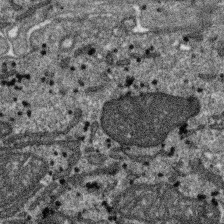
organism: Human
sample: Lung epithelial cells infected with SARS-CoV-2